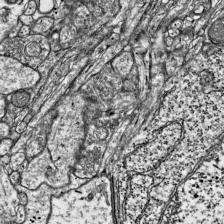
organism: Mouse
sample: Visual Cortex